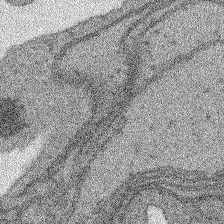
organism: Human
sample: HeLa cells